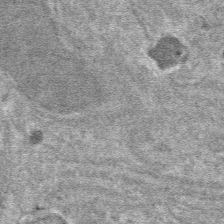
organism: Mouse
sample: Mouse hepatocytes